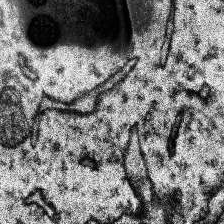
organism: Human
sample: Temporal Lobe